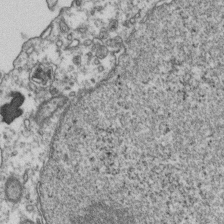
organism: Human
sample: Activated Jurkat CD4+ T cells